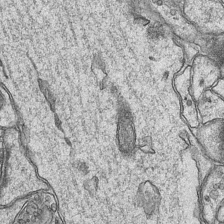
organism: Mouse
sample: CA1 Hippocampus